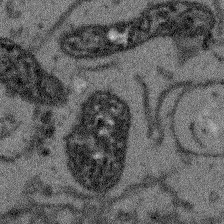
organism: Arabidopsis thaliana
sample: Root tip